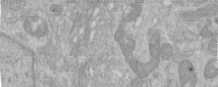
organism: Human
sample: Centriole in RPE cells